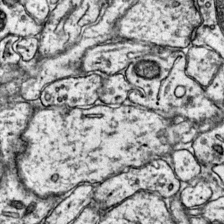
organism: Mouse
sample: Primary visual cortex